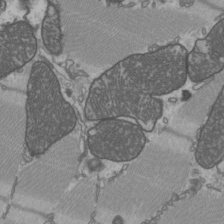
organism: C57BL Mouse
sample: Heart